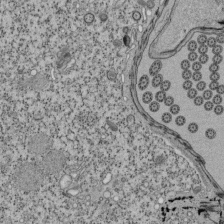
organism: Tetrahymena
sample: Cilia in tetrahymena